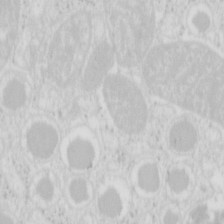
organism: Mouse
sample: Pancreas